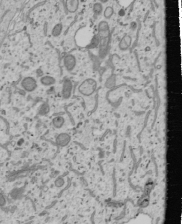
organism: Human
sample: Mitochondria in U2OS cells